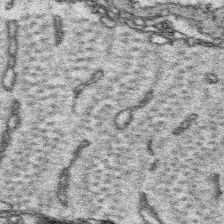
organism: Platynereis dumerilii